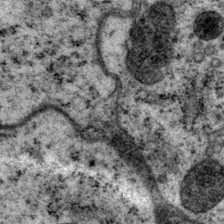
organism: P. pacificus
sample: Pharynx